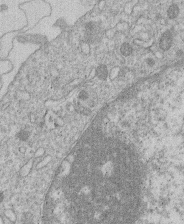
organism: Human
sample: Macrophage cells